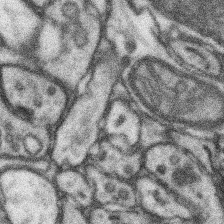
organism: Mouse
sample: Somatosensory cortex neuropil